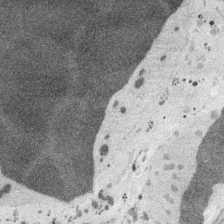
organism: Embia sp.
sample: Silk gland